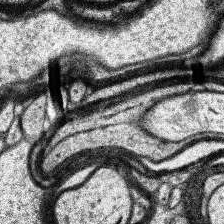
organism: Human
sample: Temporal Lobe